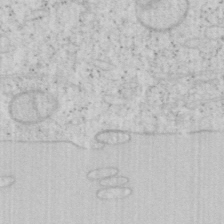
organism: Human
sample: HeLa cells